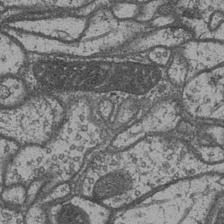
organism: Drosophila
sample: Optic medulla